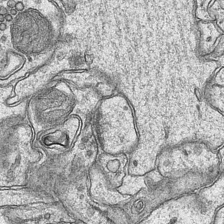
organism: Mouse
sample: CA1 Hippocampus